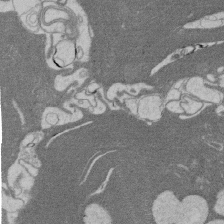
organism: Rat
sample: Salivary granule